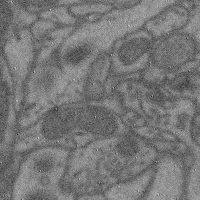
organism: Mouse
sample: Cerebral cortex